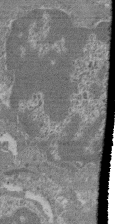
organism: Mouse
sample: Glomerulus